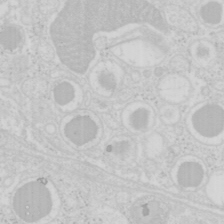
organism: Mouse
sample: Pancreas